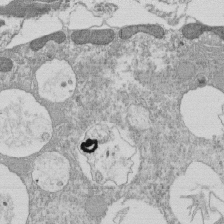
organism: Tetrahymena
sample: Cilia in tetrahymena